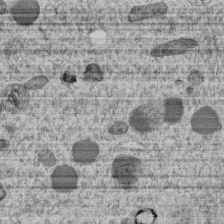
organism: C. elegans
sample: C. elegans embryo early stage